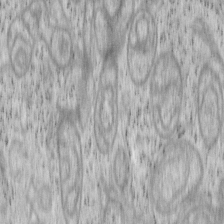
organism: Human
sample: HeLa cells